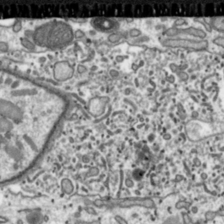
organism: Toxoplasma gondii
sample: Parasites in a vacuole inside a host cell